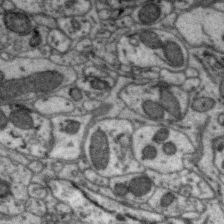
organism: Zebra finch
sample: Brain